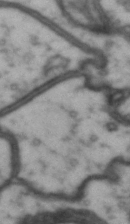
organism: Drosophila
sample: Brain